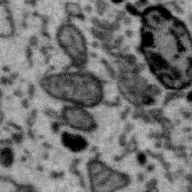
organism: Zebra finch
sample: Brain